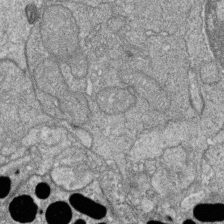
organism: Zebrafish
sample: Cilia; retinal pigment epithelium